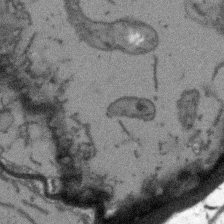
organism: Arabidopsis thaliana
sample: Root tip